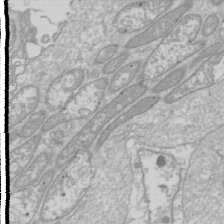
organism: Drosophila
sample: Cell division; meiosis; drosophila spermatocytes